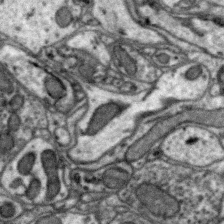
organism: Zebra finch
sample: Brain